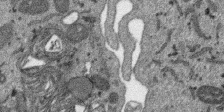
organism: Human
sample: Lung epithelial cells infected with SARS-CoV-2